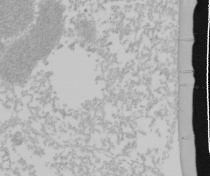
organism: Mouse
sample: Cancer cell death in ED-1 cells